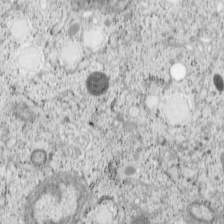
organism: African green monkey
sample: COS-7 cells